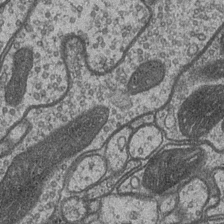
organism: Drosophila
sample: Optic medulla